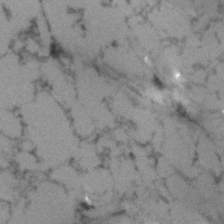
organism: Human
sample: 1205lu cells